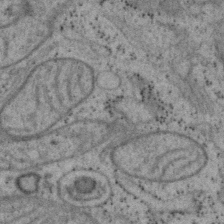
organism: Human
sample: HeLa cells